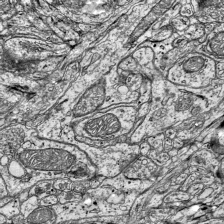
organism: Mouse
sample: Visual Cortex